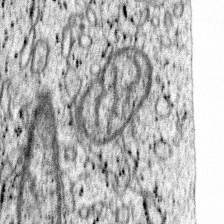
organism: Human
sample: HeLa cells